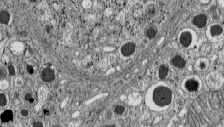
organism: C57BL Mouse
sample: Pancreatic islet